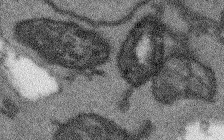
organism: Arabidopsis thaliana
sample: Root tip